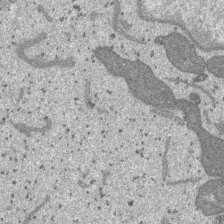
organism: Human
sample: Lung epithelial cells infected with SARS-CoV-2